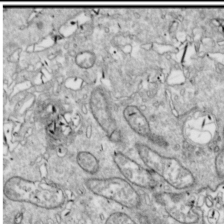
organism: Drosophila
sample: Cell division; meiosis; drosophila spermatocytes